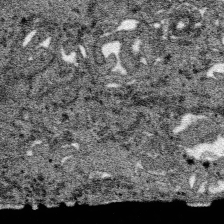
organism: Human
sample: Lung epithelial cells, uninfected (mock) control